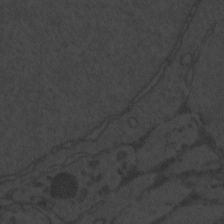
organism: Zebrafish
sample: Macrophage infected with Toxoplasma gondii